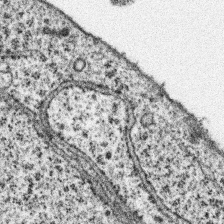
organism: Human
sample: HeLa cells